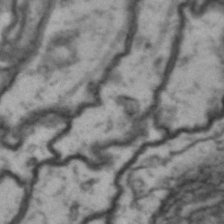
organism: Drosophila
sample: Brain